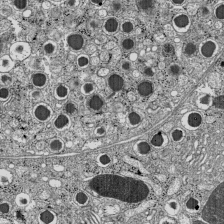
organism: C57BL Mouse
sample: Pancreatic islet